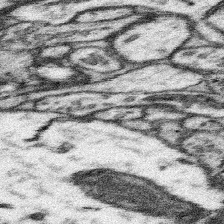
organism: Mouse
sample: Somatosensory cortex neuropil